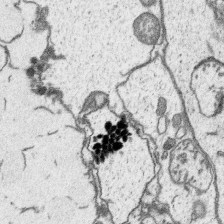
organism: Platynereis dumerilii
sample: Parapodia